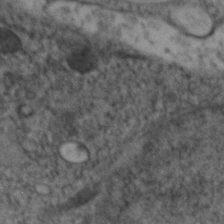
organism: Zebrafish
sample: Zebrafish embryo